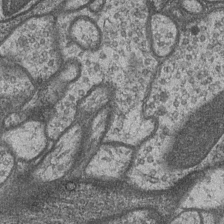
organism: Drosophila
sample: Optic medulla